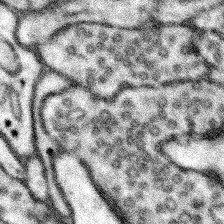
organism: Mouse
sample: Somatosensory cortex neuropil